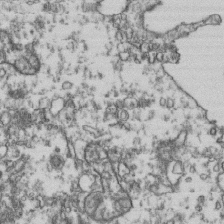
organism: Human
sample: Activated Jurkat CD4+ T cells